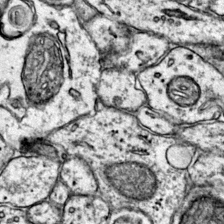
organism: Mouse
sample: Primary visual cortex